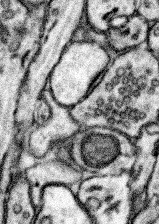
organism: Mouse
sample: Somatosensory cortex neuropil